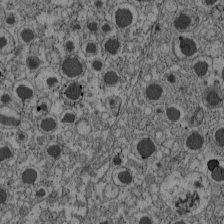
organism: C57BL Mouse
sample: Pancreatic islet